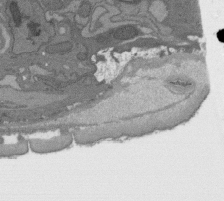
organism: C. elegans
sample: AFD neurons C. elegans